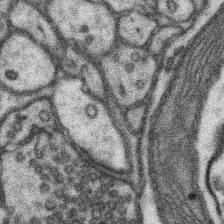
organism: Mouse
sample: Somatosensory cortex neuropil